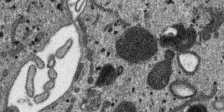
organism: Human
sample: Lung epithelial cells infected with SARS-CoV-2